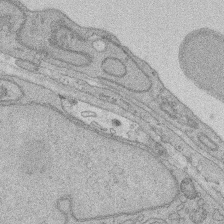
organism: Rat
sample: Salivary granule